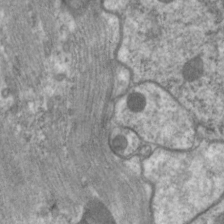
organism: C. elegans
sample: Pharynx